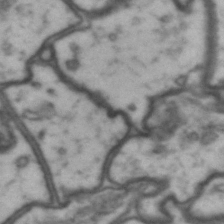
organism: Drosophila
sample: Brain